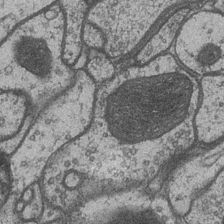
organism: Drosophila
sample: Optic medulla